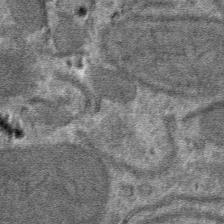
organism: Mouse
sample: Mouse hepatocytes